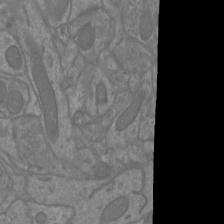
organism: Mouse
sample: Cortical neurons